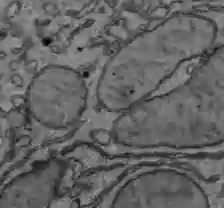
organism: C57BL Mouse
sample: Liver